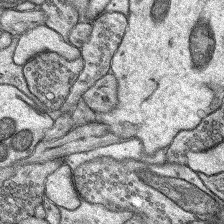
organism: Rat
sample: Hippocampus